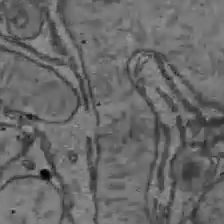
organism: C57BL Mouse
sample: Liver